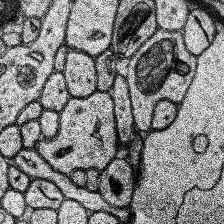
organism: Human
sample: Temporal Lobe